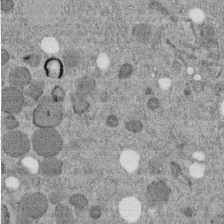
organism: C. elegans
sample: C. elegans embryo early stage